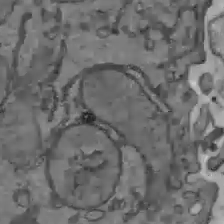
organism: C57BL Mouse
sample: Liver